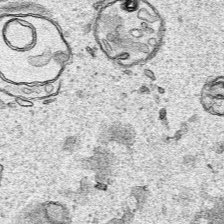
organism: Human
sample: Mitochondria in HCT116 cells